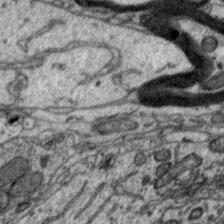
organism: Zebra finch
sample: Brain